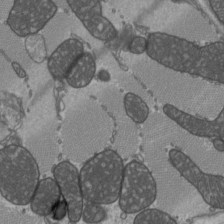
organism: C57BL Mouse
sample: Heart